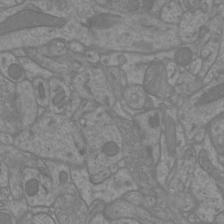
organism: Mouse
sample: Cortical neurons